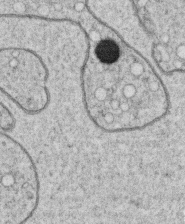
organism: C. elegans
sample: C. elegans oocyte; sperm cells